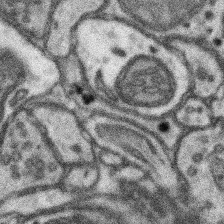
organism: Mouse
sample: Somatosensory cortex neuropil